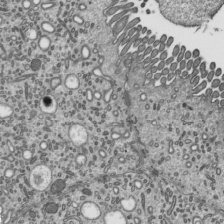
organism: Mouse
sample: Mouse epididymis efferent ductule cilia